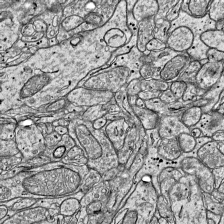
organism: Mouse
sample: Visual Cortex